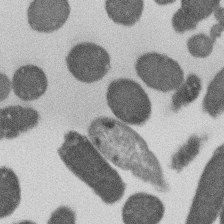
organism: E. coli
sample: Bacterial nucleoid